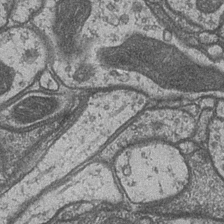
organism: Drosophila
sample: Optic medulla